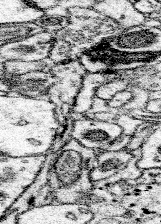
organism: Mouse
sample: Somatosensory cortex neuropil